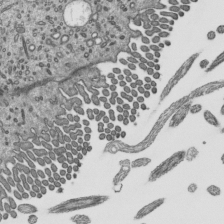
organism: Mouse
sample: Mouse epididymis efferent ductule cilia